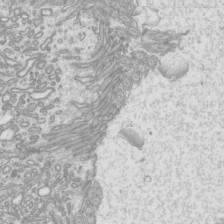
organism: Mouse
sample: Cilia; mouse epididymis